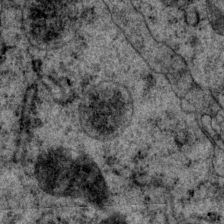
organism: P. pacificus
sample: Pharynx